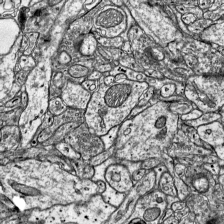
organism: Mouse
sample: Visual Cortex